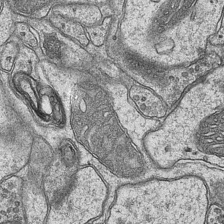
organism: Mouse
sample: CA1 Hippocampus